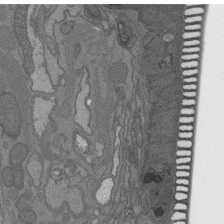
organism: C. elegans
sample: AFD neurons C. elegans